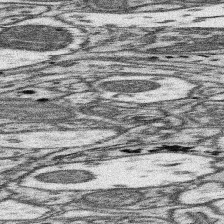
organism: Mouse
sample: Somatosensory cortex neuropil